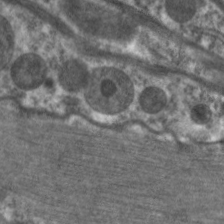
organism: C. elegans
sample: Pharynx